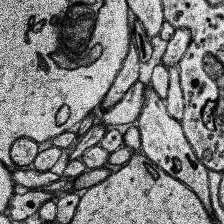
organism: Human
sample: Temporal Lobe